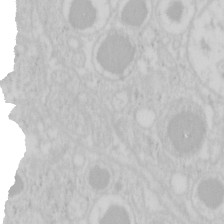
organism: Mouse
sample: Pancreas